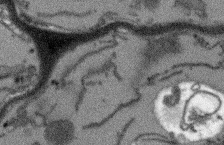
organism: Arabidopsis thaliana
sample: Root tip